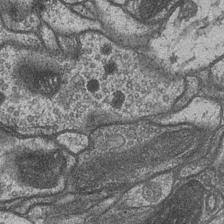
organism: Drosophila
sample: Optic medulla